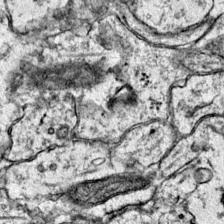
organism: Mouse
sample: Primary visual cortex